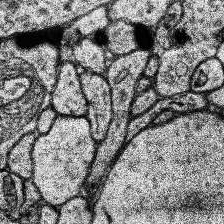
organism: Human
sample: Temporal Lobe